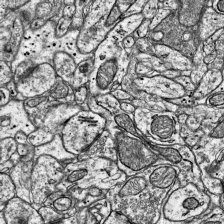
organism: Mouse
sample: Visual Cortex